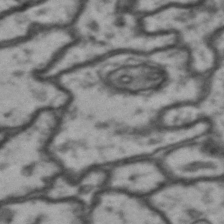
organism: Drosophila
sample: Brain